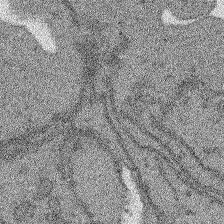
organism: Human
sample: HeLa cells